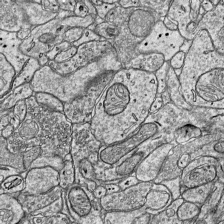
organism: Mouse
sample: Visual Cortex